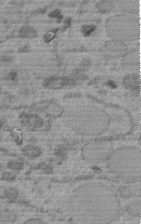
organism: C. elegans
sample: C. elegans embryo early stage